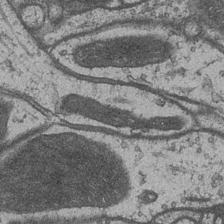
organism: Drosophila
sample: Optic medulla